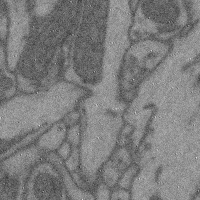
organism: Mouse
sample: Cerebral cortex